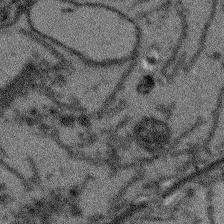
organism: Arabidopsis thaliana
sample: Root tip